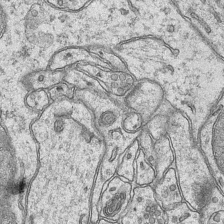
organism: Mouse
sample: CA1 Hippocampus